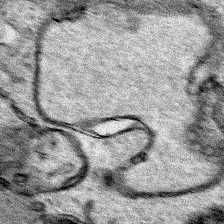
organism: Human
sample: Mitochondria in HCT116 cells